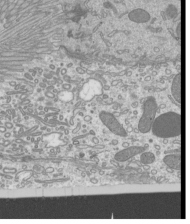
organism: Mouse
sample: Cilia; mouse epididymis